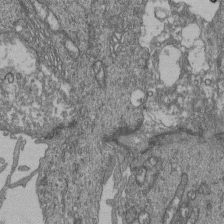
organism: Human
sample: Retinal organoid Rod and Cone cells